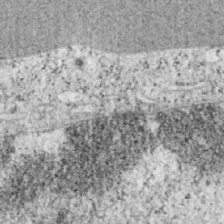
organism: Mouse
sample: OT-I killer T cells with ID8 ovarian cancer cells